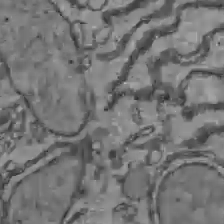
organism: C57BL Mouse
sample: Liver